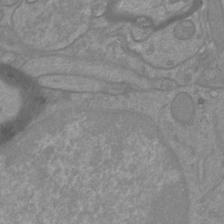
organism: Mouse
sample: Cortical neurons